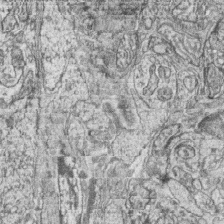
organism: Zebrafish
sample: synaptic ribbons in rod cells and cone cells